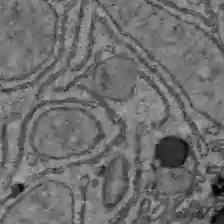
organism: C57BL Mouse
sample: Liver